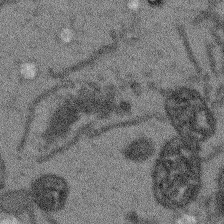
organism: Arabidopsis thaliana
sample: Root tip